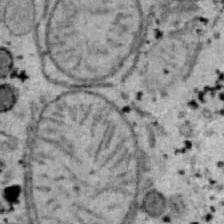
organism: Mouse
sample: Liver from an obese (ob/ob) mouse